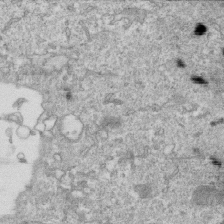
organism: Mouse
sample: Activated OT-1 CD8+ T cells